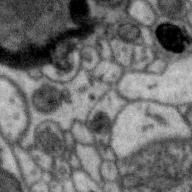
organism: Zebra finch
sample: Brain